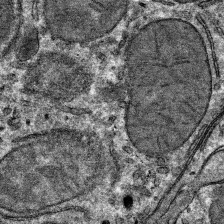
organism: Mouse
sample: Mouse hepatocytes